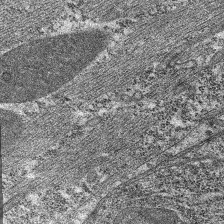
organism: C. elegans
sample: Pharynx